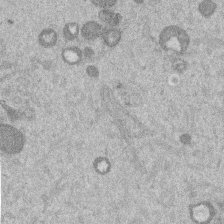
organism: Mouse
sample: Dividing mouse embryo 1 cell stage